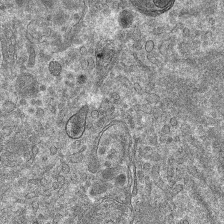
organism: Mouse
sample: Mouse hepatocytes